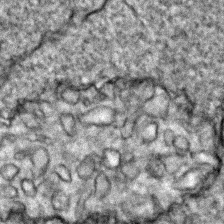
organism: Zebrafish